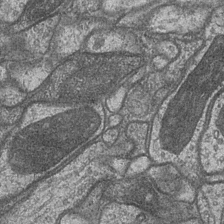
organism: Drosophila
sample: Optic medulla